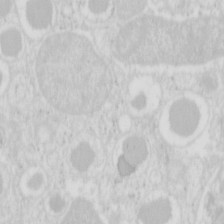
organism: Mouse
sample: Pancreas